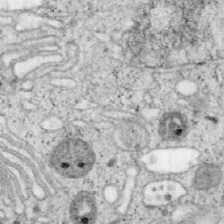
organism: Mouse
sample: OT-I killer T cells with ID8 ovarian cancer cells